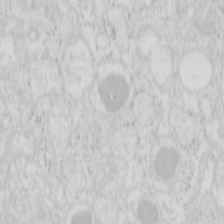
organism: Mouse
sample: Pancreas